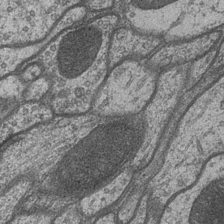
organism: Drosophila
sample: Optic medulla